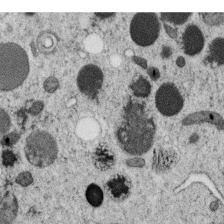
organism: C. elegans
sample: C. elegans oocyte; sperm cells